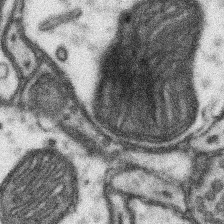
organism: Mouse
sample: Somatosensory cortex neuropil